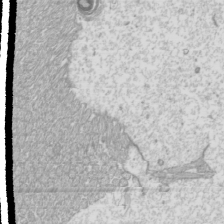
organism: Mouse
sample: Cilia; mouse epididymis